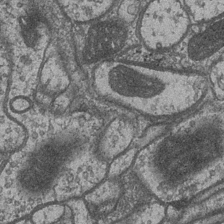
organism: Drosophila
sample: Optic medulla